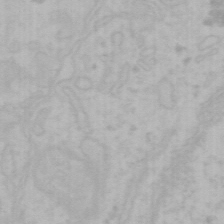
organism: Mouse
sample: Choroid plexus